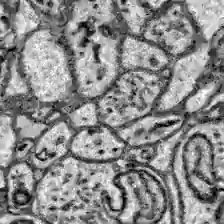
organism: Zebrafish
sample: Brain